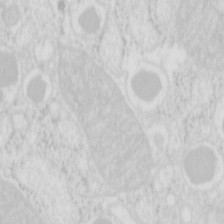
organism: Mouse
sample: Pancreas